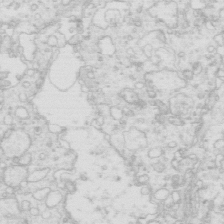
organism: Mouse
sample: Multiciliated cells